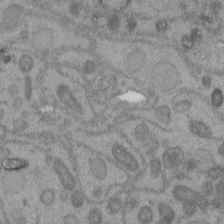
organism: C. elegans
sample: C. elegans embryo early stage